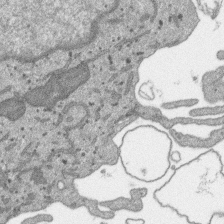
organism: Human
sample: Lung epithelial cells infected with SARS-CoV-2